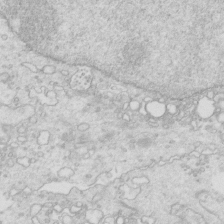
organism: Mouse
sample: Multiciliated cells